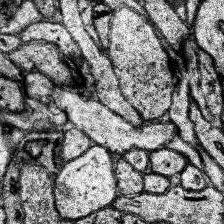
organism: Human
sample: Temporal Lobe